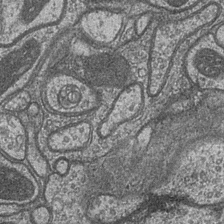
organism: Drosophila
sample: Optic medulla